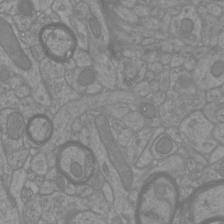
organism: Mouse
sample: Cortical neurons